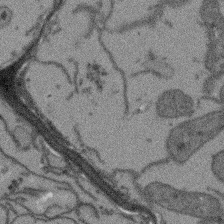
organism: Arabidopsis thaliana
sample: Root tip